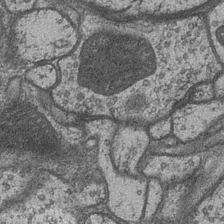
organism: Drosophila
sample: Optic medulla